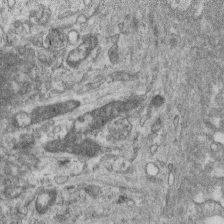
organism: Mouse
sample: Centriole in ependymal cells